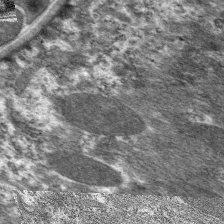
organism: C. elegans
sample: Pharynx